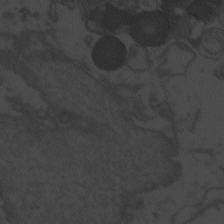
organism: Zebrafish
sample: Macrophage infected with Toxoplasma gondii